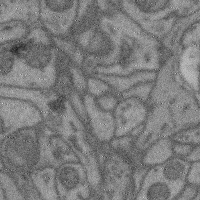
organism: Mouse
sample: Cerebral cortex